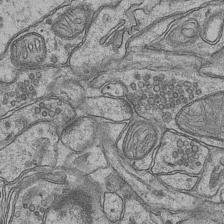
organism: Mouse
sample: CA1 Hippocampus